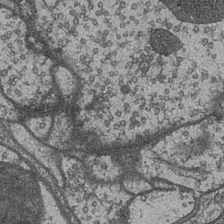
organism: Drosophila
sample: Optic medulla